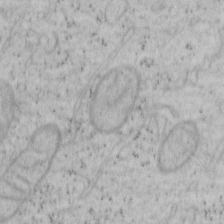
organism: Human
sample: HeLa cells